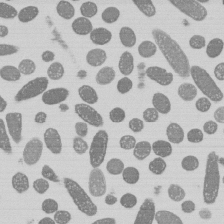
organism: E. coli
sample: Bacterial nucleoid